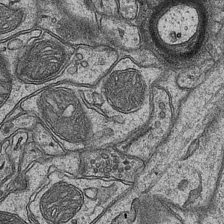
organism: Mouse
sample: CA1 Hippocampus